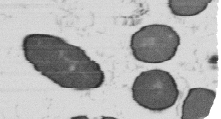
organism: B. subtilis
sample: Bacterial spore